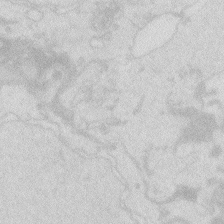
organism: Zebrafish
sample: Macrophage